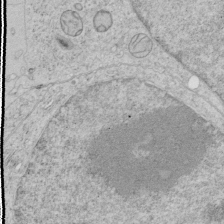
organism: Human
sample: Mitochondria in HCT116 cells